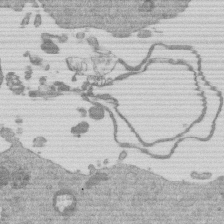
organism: Mouse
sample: Dividing mouse embryo 1 cell stage